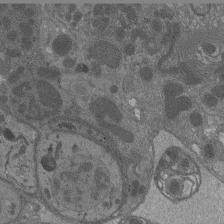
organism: Drosophila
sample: Antenna